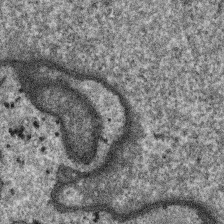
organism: Human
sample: Lung epithelial cells infected with SARS-CoV-2